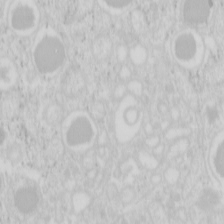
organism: Mouse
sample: Pancreas